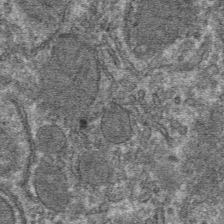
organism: Mouse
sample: Mouse hepatocytes